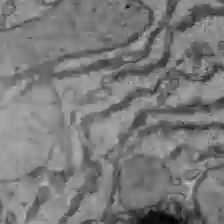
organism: C57BL Mouse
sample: Liver